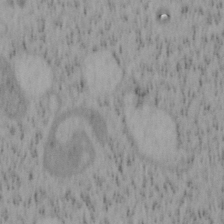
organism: Mouse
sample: OT-I killer T cells with ID8 ovarian cancer cells